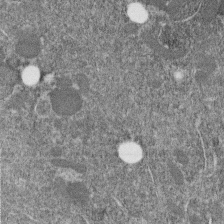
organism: C. elegans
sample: C. elegans embryo early stage